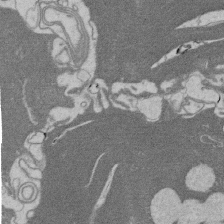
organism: Rat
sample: Salivary granule